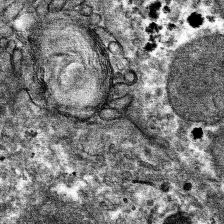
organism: Mouse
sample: Mouse hepatocytes